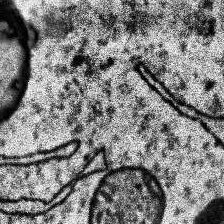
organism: Human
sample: Temporal Lobe